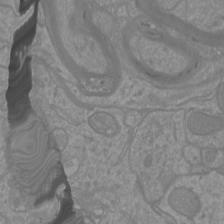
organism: Mouse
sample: Cortical neurons